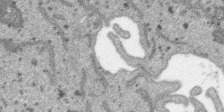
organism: Human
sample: Lung epithelial cells infected with SARS-CoV-2